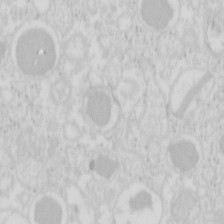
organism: Mouse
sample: Pancreas